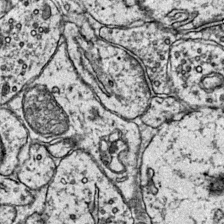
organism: Mouse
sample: Primary visual cortex